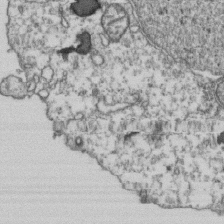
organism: Human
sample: Activated Jurkat CD4+ T cells